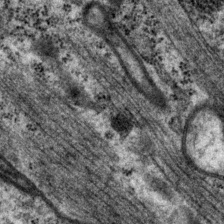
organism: P. pacificus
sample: Pharynx